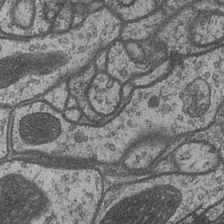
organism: Drosophila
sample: Optic medulla